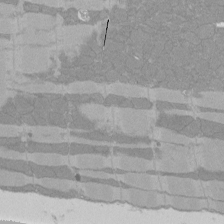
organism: Rat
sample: Left ventricle